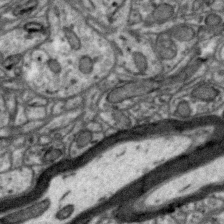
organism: Zebra finch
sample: Brain